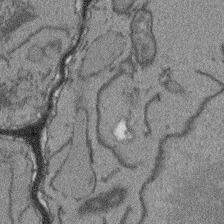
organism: Arabidopsis thaliana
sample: Root tip